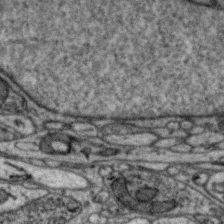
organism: Zebra finch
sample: Brain